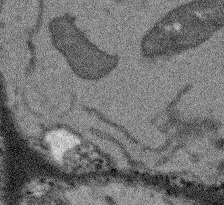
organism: Arabidopsis thaliana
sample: Root tip